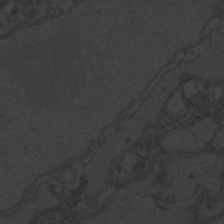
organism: Zebrafish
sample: Macrophage infected with Toxoplasma gondii